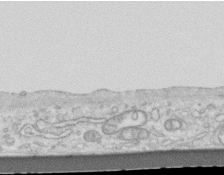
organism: Mouse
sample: Centriole in ependymal cells